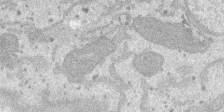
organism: Human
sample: Lung epithelial cells infected with SARS-CoV-2